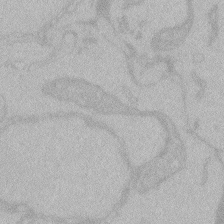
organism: Zebrafish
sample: Macrophage infected with Toxoplasma gondii